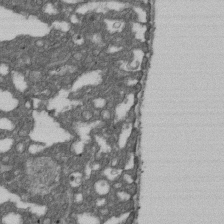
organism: Drosophila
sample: Nephrocyte